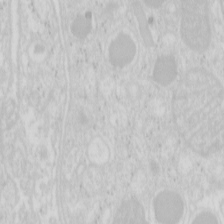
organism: Mouse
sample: Pancreas